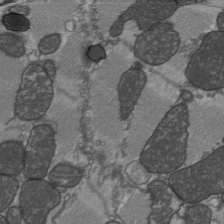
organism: C57BL Mouse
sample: Heart